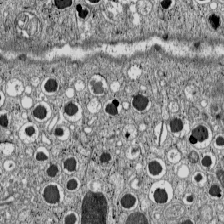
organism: C57BL Mouse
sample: Pancreatic islet